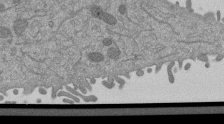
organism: Mouse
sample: ED-1 cell nuclei; centrioles